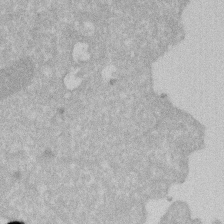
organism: Human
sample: HIV infected U937 cells